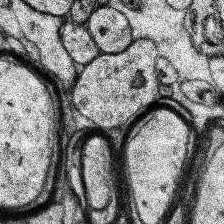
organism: Human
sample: Temporal Lobe